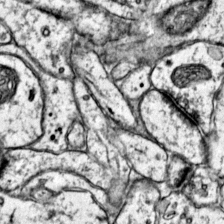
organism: Mouse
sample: Primary visual cortex